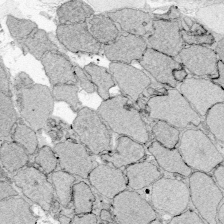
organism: Zebrafish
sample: Whole-Brain